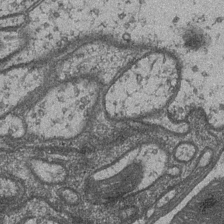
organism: Drosophila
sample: Optic medulla